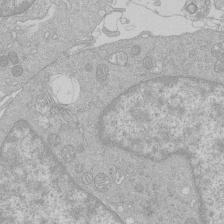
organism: Human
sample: Macrophage cells